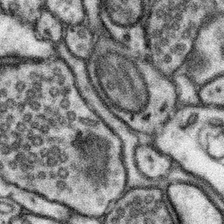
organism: Mouse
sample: Somatosensory cortex neuropil